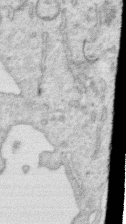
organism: Human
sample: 1205lu cells